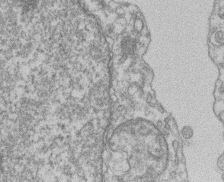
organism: Mouse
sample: T cell stromal cell synapse